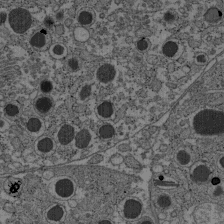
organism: C57BL Mouse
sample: Pancreatic islet